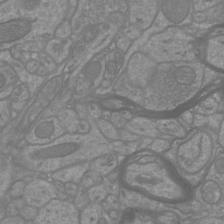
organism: Mouse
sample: Cortical neurons